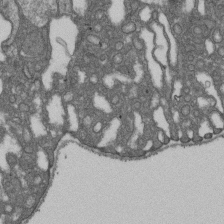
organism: Drosophila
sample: Nephrocyte